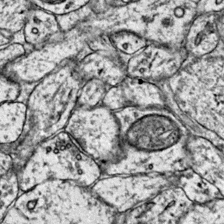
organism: Mouse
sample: Primary visual cortex